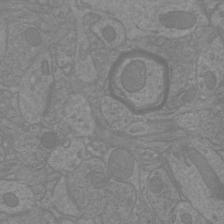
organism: Mouse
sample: Cortical neurons